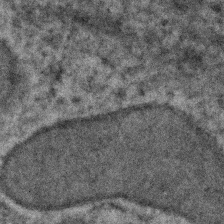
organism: Human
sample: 1205lu cells